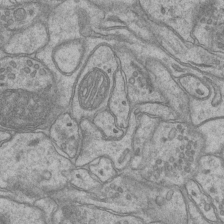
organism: Mouse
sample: CA1 Hippocampus